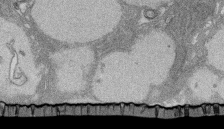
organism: Rat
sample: Salivary granule